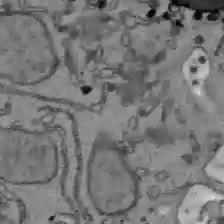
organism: C57BL Mouse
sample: Liver